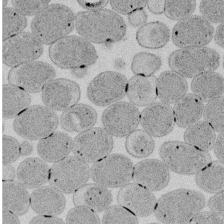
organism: E. coli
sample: Bacterial nucleoid